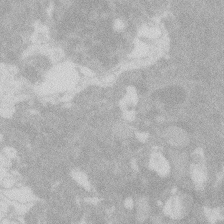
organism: Zebrafish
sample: Macrophage